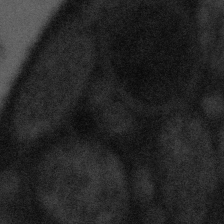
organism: Tuwongella immobilis